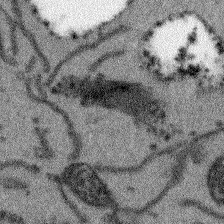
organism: Arabidopsis thaliana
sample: Root tip